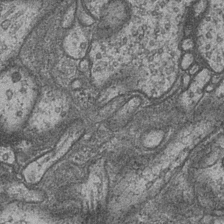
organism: Drosophila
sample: Optic medulla